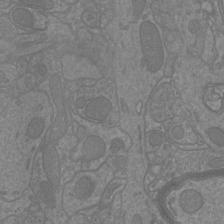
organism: Mouse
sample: Cortical neurons